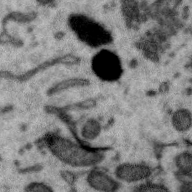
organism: Zebra finch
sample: Brain